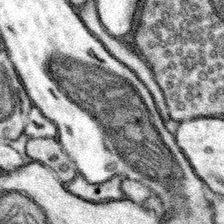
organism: Mouse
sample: Somatosensory cortex neuropil